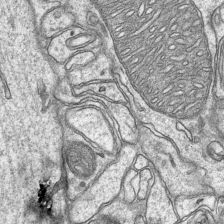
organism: Mouse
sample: CA1 Hippocampus